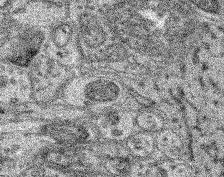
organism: Mouse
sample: Retina